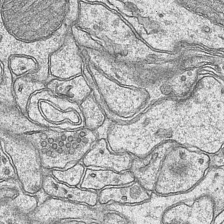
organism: Mouse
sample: CA1 Hippocampus